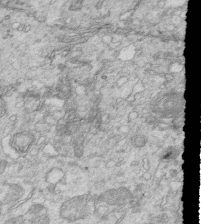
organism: Mouse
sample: Multiciliated cells